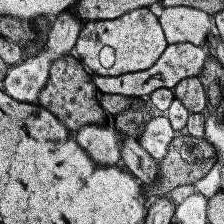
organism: Human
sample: Temporal Lobe